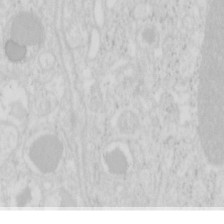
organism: Mouse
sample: Pancreas